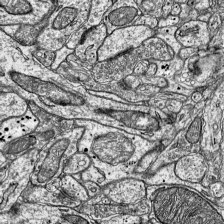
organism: Mouse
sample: Visual Cortex